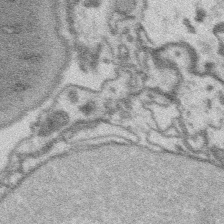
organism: Platynereis dumerilii